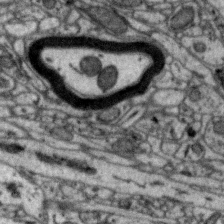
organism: Zebra finch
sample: Brain